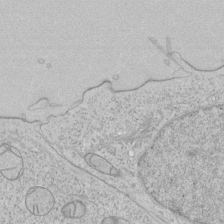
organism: Human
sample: Mitochondria in HCT116 cells